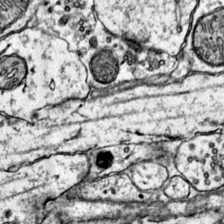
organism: Mouse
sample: Primary visual cortex